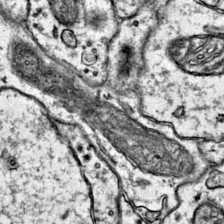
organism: Mouse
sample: Primary visual cortex